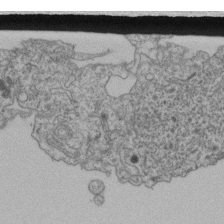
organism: Human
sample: Retinal organoid Rod and Cone cells